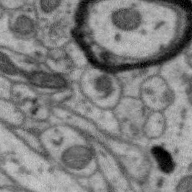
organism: Zebra finch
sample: Brain